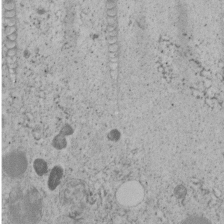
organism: C. elegans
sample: C. elegans embryo early stage